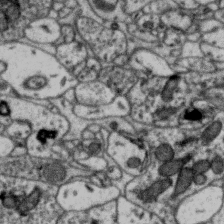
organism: Zebra finch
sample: Brain